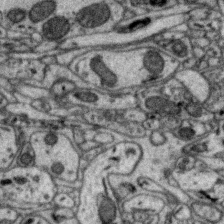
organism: Zebra finch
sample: Brain